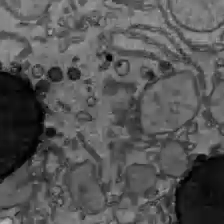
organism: C57BL Mouse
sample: Liver